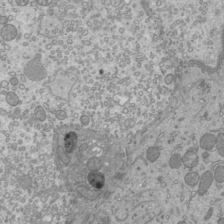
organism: Mouse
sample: Cilia; mouse epididymis